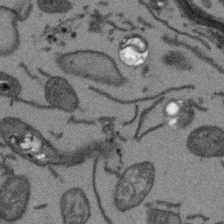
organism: Arabidopsis thaliana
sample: Root tip